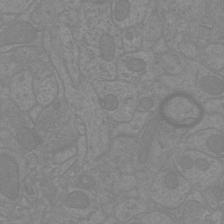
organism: Mouse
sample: Cortical neurons